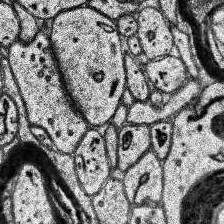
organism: Human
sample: Temporal Lobe